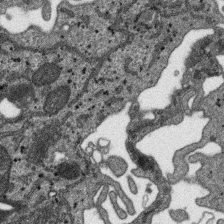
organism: Human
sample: Lung epithelial cells infected with SARS-CoV-2